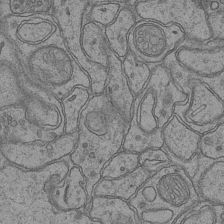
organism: Mouse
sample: CA1 Hippocampus